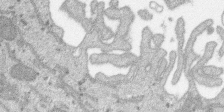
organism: Human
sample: Lung epithelial cells infected with SARS-CoV-2